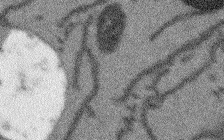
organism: Arabidopsis thaliana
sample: Root tip